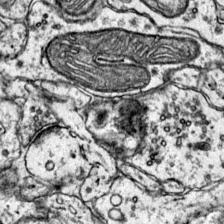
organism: Mouse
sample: Primary visual cortex